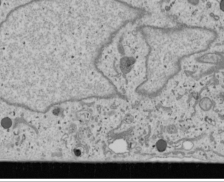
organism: Human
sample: Mitochondria in U2OS cells